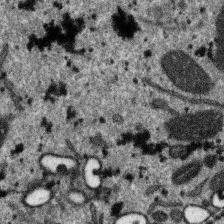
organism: Human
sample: Lung epithelial cells infected with SARS-CoV-2